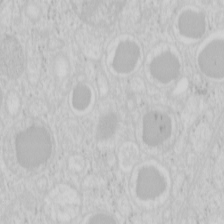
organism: Mouse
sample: Pancreas